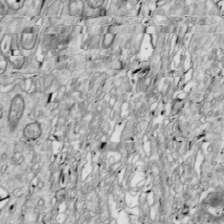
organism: Drosophila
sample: Cell division; meiosis; drosophila spermatocytes